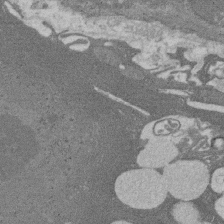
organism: Rat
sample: Salivary granule